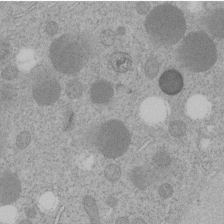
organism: C. elegans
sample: C. elegans embryo early stage